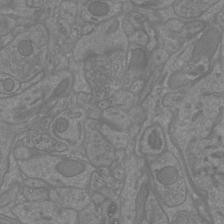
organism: Mouse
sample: Cortical neurons